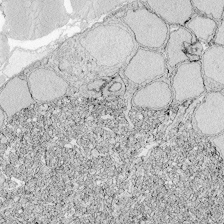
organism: Zebrafish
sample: Whole-Brain